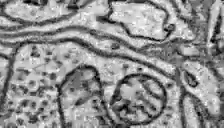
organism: Zebrafish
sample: Brain